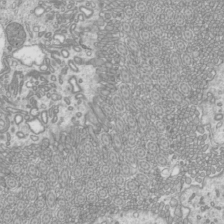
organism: Mouse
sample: Cilia; mouse epididymis